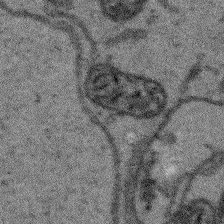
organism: Arabidopsis thaliana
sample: Root tip